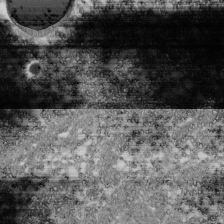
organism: Xenopus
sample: Cilia; centrioles in frog embryo cells